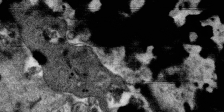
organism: Human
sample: Lung epithelial cells, uninfected (mock) control